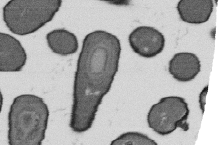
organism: B. subtilis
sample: Bacterial spore